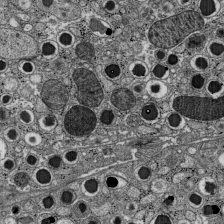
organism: C57BL Mouse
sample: Pancreatic islet